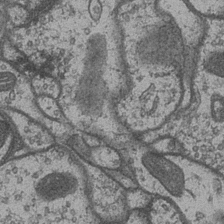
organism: Drosophila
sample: Optic medulla